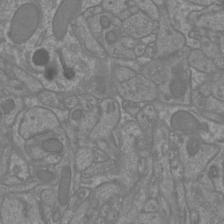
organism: Mouse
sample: Cortical neurons